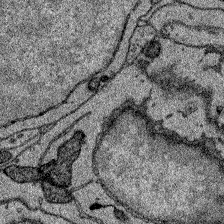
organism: Zebrafish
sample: Larval olfactory bulb